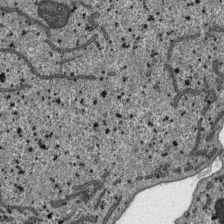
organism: Human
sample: Lung epithelial cells infected with SARS-CoV-2